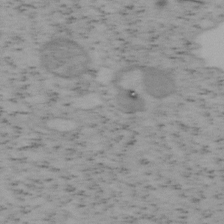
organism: Mouse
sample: OT-I killer T cells with ID8 ovarian cancer cells